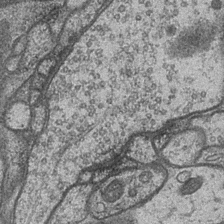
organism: Drosophila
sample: Optic medulla